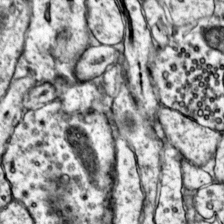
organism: Mouse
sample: Primary visual cortex